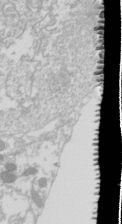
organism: Drosophila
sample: Cell division; meiosis; drosophila spermatocytes